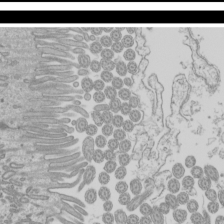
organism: Mouse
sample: Cilia; mouse epididymis